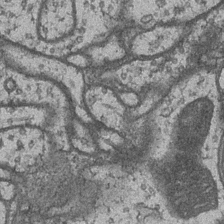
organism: Drosophila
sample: Optic medulla